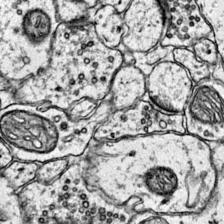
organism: Mouse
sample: Primary visual cortex